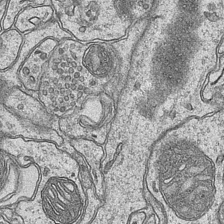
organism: Mouse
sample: CA1 Hippocampus